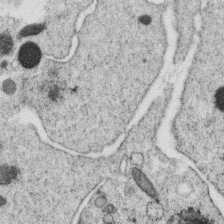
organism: C. elegans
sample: C. elegans oocyte; sperm cells